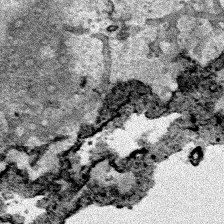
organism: Human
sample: Mitochondria in HCT116 cells